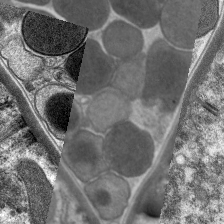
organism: C. elegans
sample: Pharynx